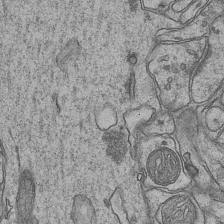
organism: Mouse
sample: CA1 Hippocampus